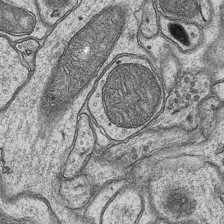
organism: Mouse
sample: CA1 Hippocampus